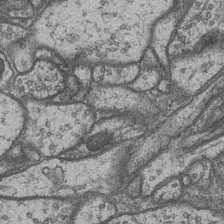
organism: Drosophila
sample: Optic medulla